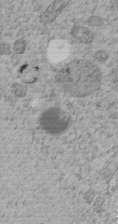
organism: C. elegans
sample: C. elegans embryo early stage